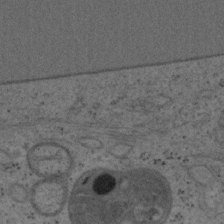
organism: Human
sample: HeLa cells